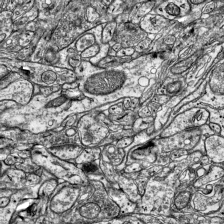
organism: Mouse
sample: Visual Cortex